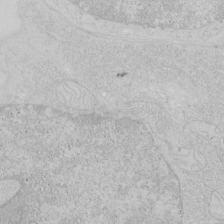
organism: Human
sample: Mitochondria in HCT116 cells